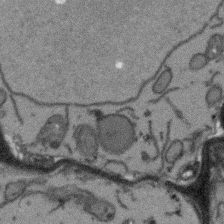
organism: Arabidopsis thaliana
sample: Root tip